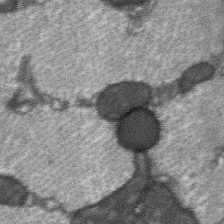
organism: C57BL Mouse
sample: Soleus